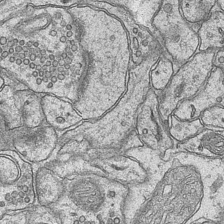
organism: Mouse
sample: CA1 Hippocampus